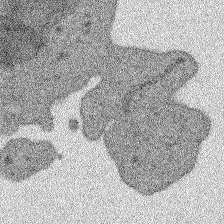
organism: Human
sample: HeLa cells